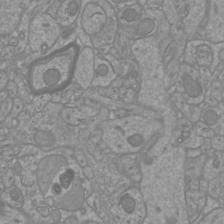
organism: Mouse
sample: Cortical neurons